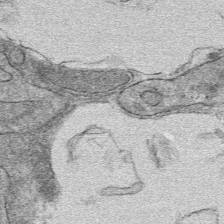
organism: Mouse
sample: Mouse hepatocytes